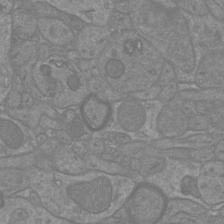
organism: Mouse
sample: Cortical neurons